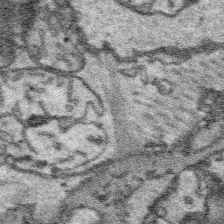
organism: Platynereis dumerilii